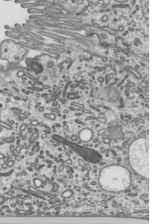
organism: Mouse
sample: Mouse epididymis efferent ductule cilia